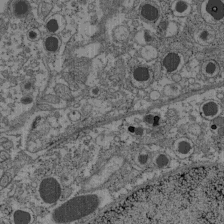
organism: C57BL Mouse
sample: Pancreatic islet